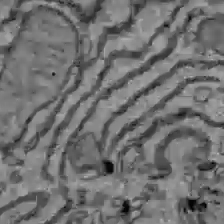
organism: C57BL Mouse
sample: Liver